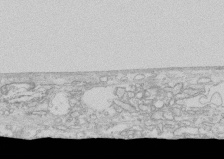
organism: Human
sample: CRL-1474